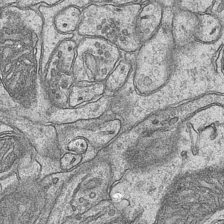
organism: Mouse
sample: CA1 Hippocampus